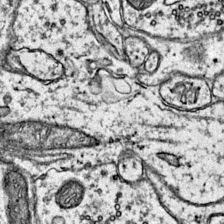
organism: Mouse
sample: Primary visual cortex